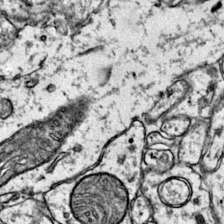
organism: Mouse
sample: Primary visual cortex